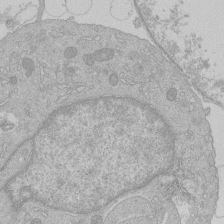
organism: Human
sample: Macrophage cells